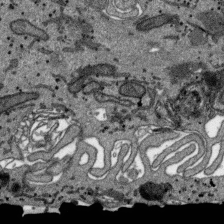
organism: Human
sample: Lung epithelial cells, uninfected (mock) control